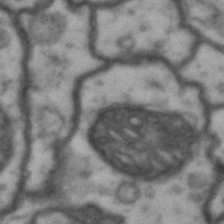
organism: Drosophila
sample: Brain